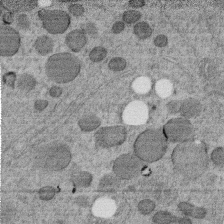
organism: C. elegans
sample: C. elegans embryo early stage